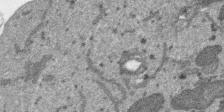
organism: Human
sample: Lung epithelial cells infected with SARS-CoV-2